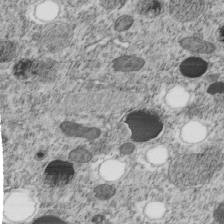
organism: C. elegans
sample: C. elegans embryo early stage